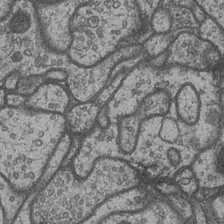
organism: Drosophila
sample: Optic medulla